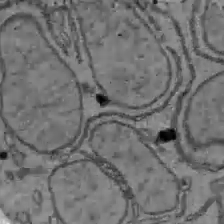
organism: C57BL Mouse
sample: Liver